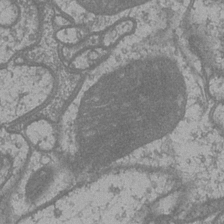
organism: Drosophila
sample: Optic medulla